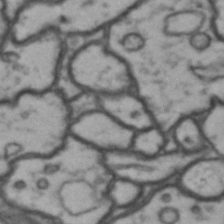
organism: Drosophila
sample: Brain